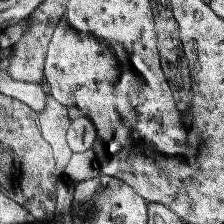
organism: Human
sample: Temporal Lobe